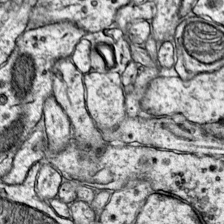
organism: Mouse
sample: Primary visual cortex